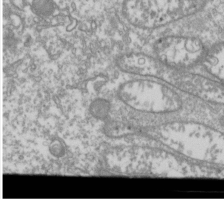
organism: Drosophila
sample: Cell division; meiosis; drosophila spermatocytes